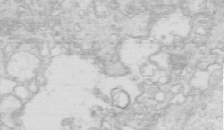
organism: Mouse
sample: Multiciliated cells